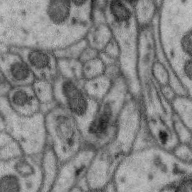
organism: Zebra finch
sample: Brain